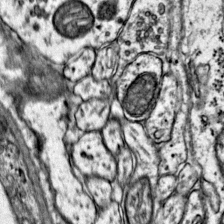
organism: Mouse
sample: Primary visual cortex